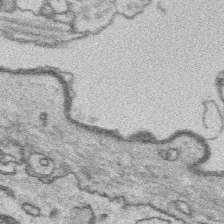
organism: Platynereis dumerilii